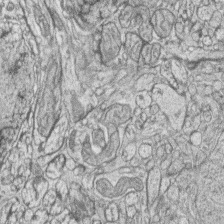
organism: Zebrafish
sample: synaptic ribbons in rod cells and cone cells